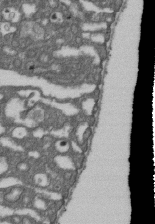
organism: Drosophila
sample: Nephrocyte